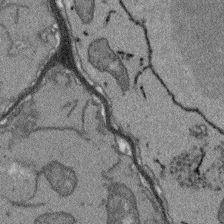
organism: Arabidopsis thaliana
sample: Root tip